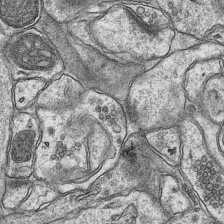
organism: Mouse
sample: CA1 Hippocampus